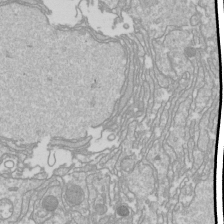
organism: Drosophila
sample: Cell division; meiosis; drosophila spermatocytes